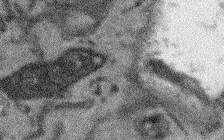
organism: Arabidopsis thaliana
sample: Root tip